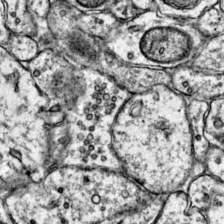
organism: Mouse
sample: Primary visual cortex